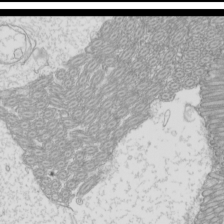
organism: Mouse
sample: Cilia; mouse epididymis